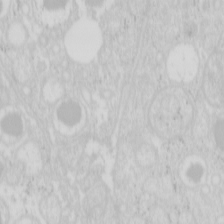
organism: Mouse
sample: Pancreas